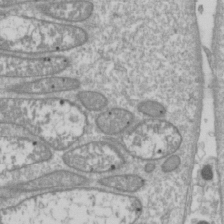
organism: Drosophila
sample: Cell division; meiosis; drosophila spermatocytes